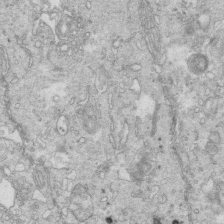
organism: Mouse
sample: Multiciliated cells